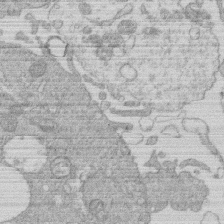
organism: Human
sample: Macrophage cells